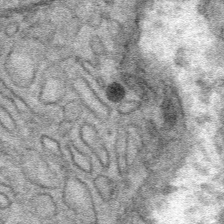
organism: Mouse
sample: Mouse Salivary gland